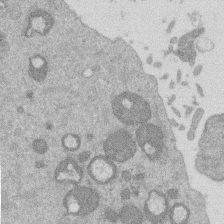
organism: Mouse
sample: Dividing mouse embryo 1 cell stage